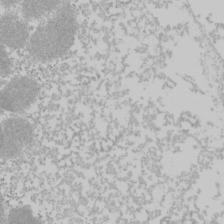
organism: Mouse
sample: Cancer cell death in ED-1 cells